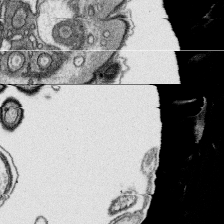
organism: Platynereis dumerilii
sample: Parapodia